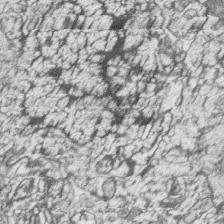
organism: Zebrafish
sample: synaptic ribbons in rod cells and cone cells